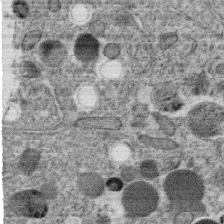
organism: C. elegans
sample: C. elegans oocyte; sperm cells